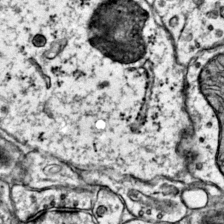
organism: Mouse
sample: Primary visual cortex